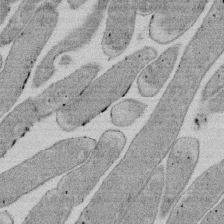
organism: E. coli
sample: Bacterial nucleoid